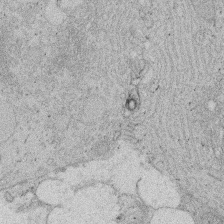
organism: Rat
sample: Salivary granule